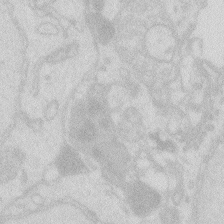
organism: Zebrafish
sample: Macrophage